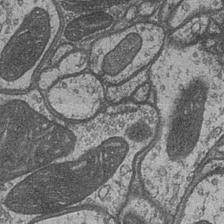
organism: Drosophila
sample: Optic medulla